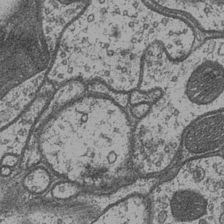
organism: Drosophila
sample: Optic medulla